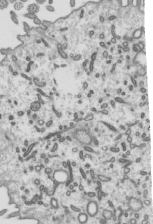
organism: Mouse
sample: Mouse epididymis efferent ductule cilia